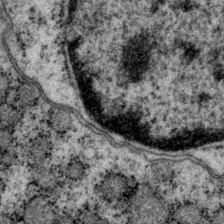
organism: P. pacificus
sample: Pharynx